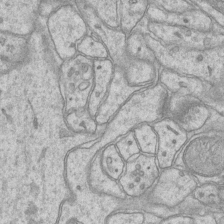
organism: Mouse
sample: CA1 Hippocampus